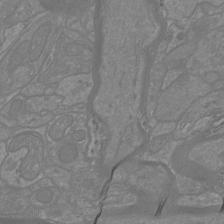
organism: Mouse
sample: Cortical neurons